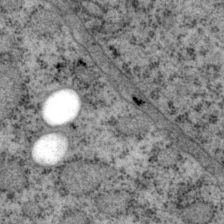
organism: P. pacificus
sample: Pharynx